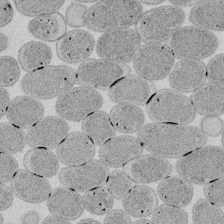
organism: E. coli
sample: Bacterial nucleoid